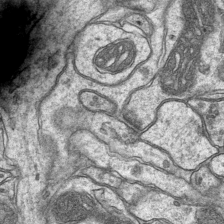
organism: Mouse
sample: CA1 Hippocampus